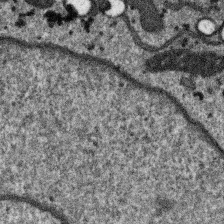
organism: Human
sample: Lung epithelial cells infected with SARS-CoV-2